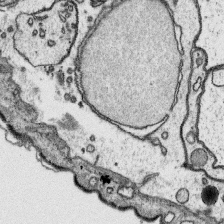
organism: Platynereis dumerilii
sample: Parapodia